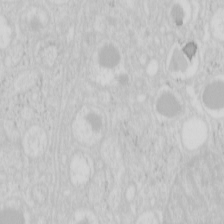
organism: Mouse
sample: Pancreas